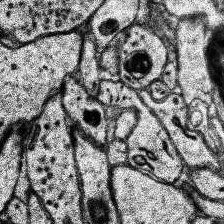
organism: Human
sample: Temporal Lobe